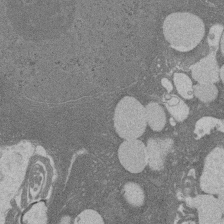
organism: Rat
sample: Salivary granule